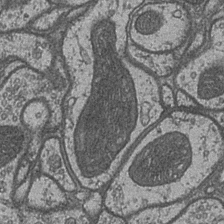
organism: Drosophila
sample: Optic medulla